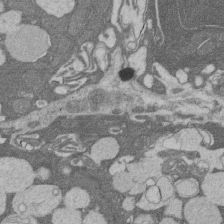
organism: Rat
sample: Salivary granule